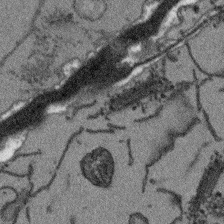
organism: Arabidopsis thaliana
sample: Root tip